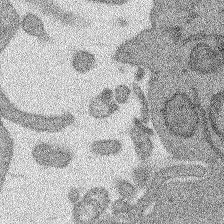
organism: Human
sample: HeLa cells